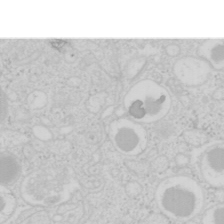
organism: Mouse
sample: Pancreas